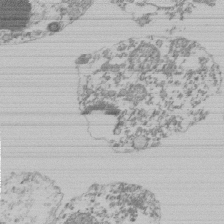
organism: Mouse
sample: Activated Pmel transgenic CD8+ T Cells